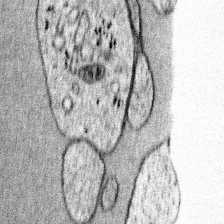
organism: Human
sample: HeLa cells